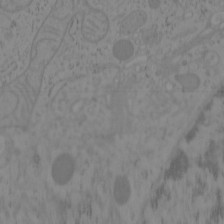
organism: Human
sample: HeLa cells